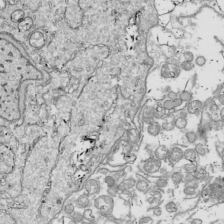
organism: Drosophila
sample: Cell division; meiosis; drosophila spermatocytes